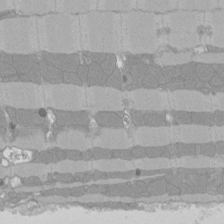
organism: Rat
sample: Left ventricle